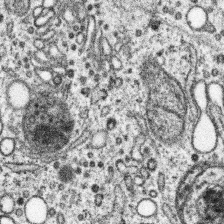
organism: Human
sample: HeLa cells